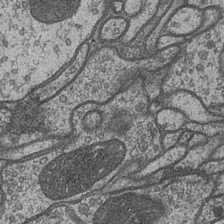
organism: Drosophila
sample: Optic medulla